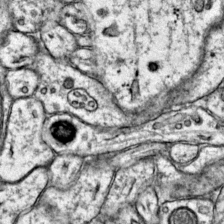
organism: Mouse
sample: Primary visual cortex